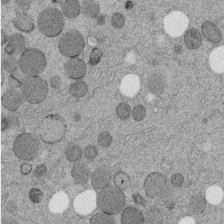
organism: C. elegans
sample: C. elegans embryo early stage